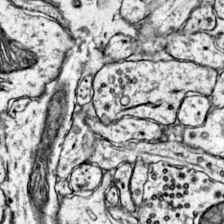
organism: Mouse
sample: Primary visual cortex